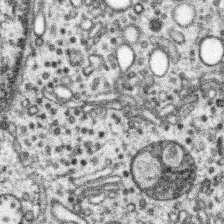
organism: Human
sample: HeLa cells